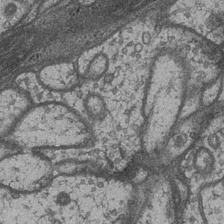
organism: Drosophila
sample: Optic medulla